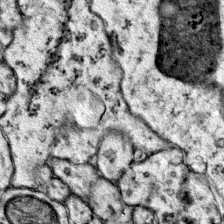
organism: Mouse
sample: Primary visual cortex